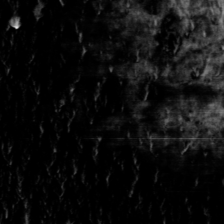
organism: Toxoplasma gondii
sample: Parasites in a vacuole inside a host cell